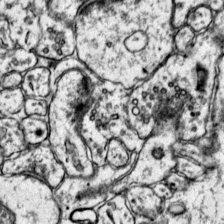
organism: Mouse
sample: Primary visual cortex